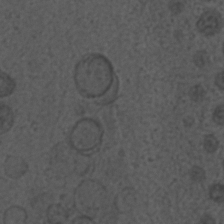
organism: C. elegans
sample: C. elegans embryo